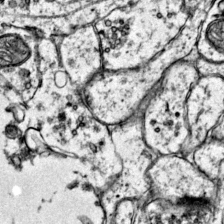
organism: Mouse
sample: Primary visual cortex